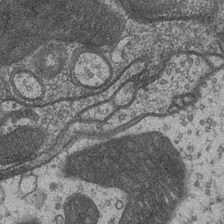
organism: Drosophila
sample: Optic medulla